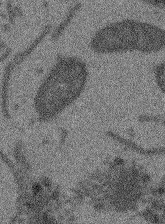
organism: Arabidopsis thaliana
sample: Root tip